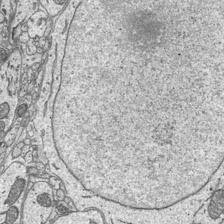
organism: Mouse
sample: Suprachiasmatic nucleus